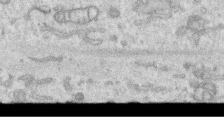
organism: Human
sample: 1205lu cells